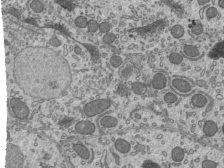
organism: Mouse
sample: Mouse epididymis efferent ductule cilia